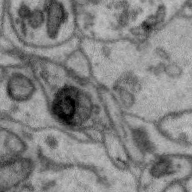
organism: Zebra finch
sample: Brain